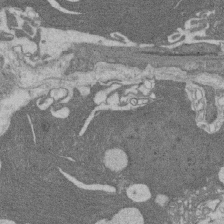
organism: Rat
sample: Salivary granule